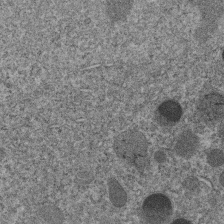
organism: C. elegans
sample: C. elegans embryo early stage